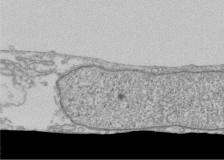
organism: Human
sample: Fibroblast cells